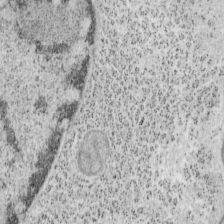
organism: Mouse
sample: OT-I killer T cells with ID8 ovarian cancer cells